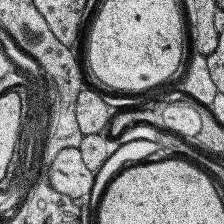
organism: Human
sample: Temporal Lobe